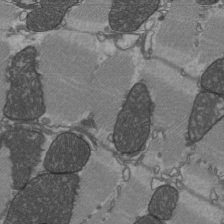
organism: C57BL Mouse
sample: Heart